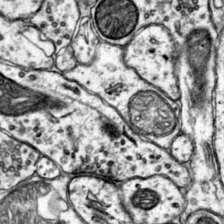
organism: Mouse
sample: Primary visual cortex